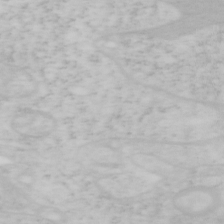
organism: Mouse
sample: OT-I killer T cells with ID8 ovarian cancer cells